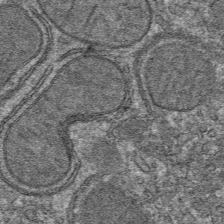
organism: Mouse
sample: Mouse hepatocytes